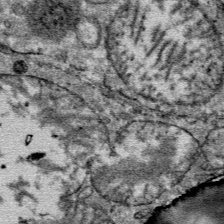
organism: Mouse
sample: Mouse Salivary gland